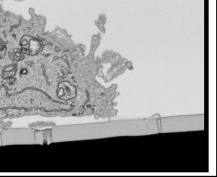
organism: Human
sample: Mitochondria in HCT116 cells